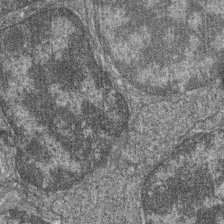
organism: Zebrafish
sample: Cilia; retinal pigment epithelium